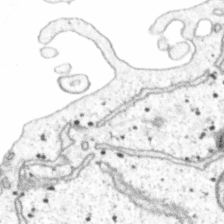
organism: Human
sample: HeLa cells